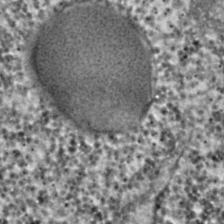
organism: C. elegans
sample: C. elegans embryo